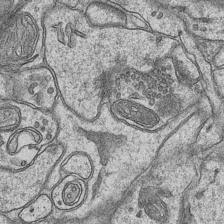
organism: Mouse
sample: CA1 Hippocampus